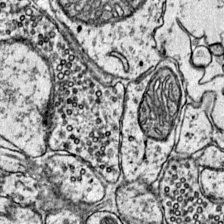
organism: Mouse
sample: Primary visual cortex